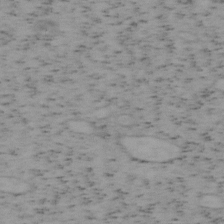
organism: Mouse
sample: OT-I killer T cells with ID8 ovarian cancer cells